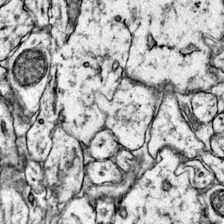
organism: Mouse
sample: Primary visual cortex